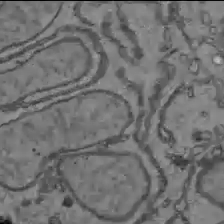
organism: C57BL Mouse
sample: Liver